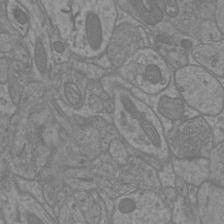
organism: Mouse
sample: Cortical neurons